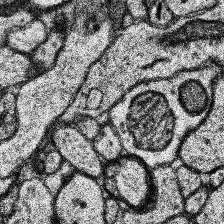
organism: Human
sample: Temporal Lobe